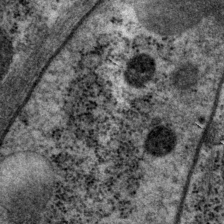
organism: P. pacificus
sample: Pharynx